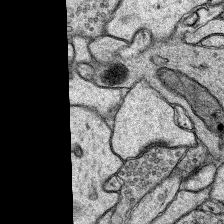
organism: Rat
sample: Hippocampus